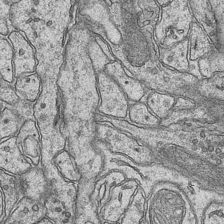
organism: Mouse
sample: CA1 Hippocampus